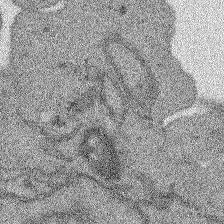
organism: Human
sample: HeLa cells